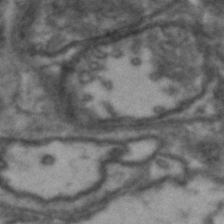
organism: Drosophila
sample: Brain